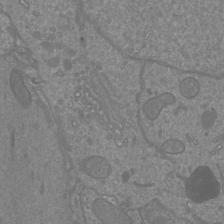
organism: Mouse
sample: Cortical neurons